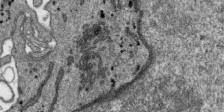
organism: Human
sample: Lung epithelial cells, uninfected (mock) control